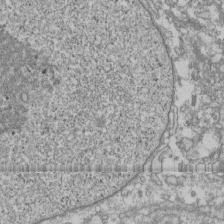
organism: Human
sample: Fibroblast cells